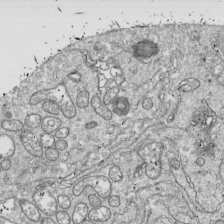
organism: Drosophila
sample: Cell division; meiosis; drosophila spermatocytes